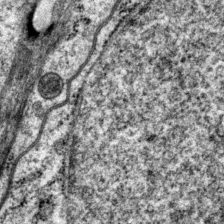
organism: P. pacificus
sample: Pharynx